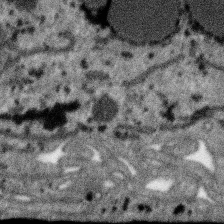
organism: Human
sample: Lung epithelial cells infected with SARS-CoV-2